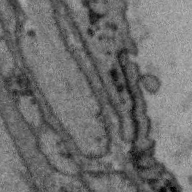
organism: Zebra finch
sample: Brain